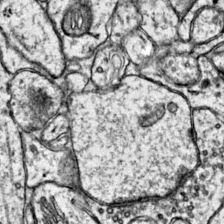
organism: Mouse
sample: Primary visual cortex